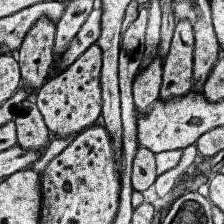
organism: Human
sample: Temporal Lobe